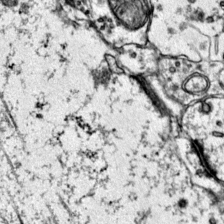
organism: Mouse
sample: Primary visual cortex